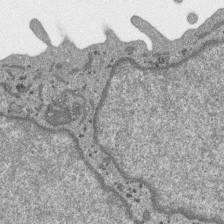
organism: Human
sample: Lung epithelial cells infected with SARS-CoV-2